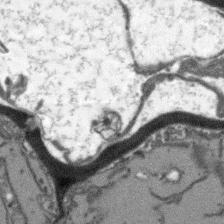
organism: Arabidopsis thaliana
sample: Root tip